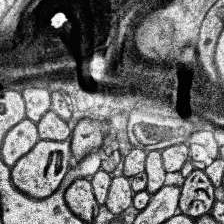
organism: Human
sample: Temporal Lobe